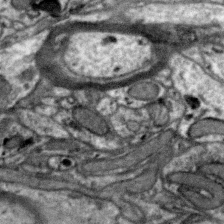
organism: Zebra finch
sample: Brain